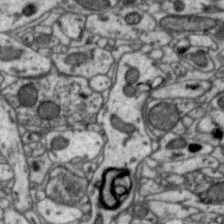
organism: Zebra finch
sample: Brain